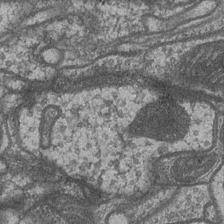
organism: Drosophila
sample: Optic medulla